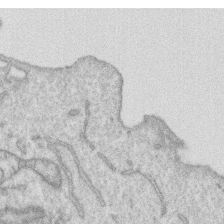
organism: Human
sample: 1205lu cells